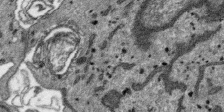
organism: Human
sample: Lung epithelial cells, uninfected (mock) control